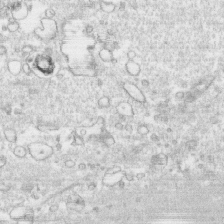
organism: Human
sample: CRL-1474